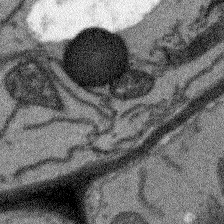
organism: Arabidopsis thaliana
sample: Root tip